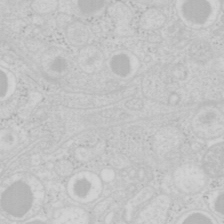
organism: Mouse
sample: Pancreas